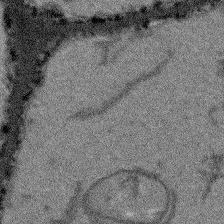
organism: Arabidopsis thaliana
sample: Root tip